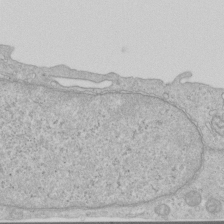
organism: Human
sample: Centriole in RPE cells